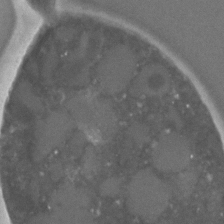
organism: C. elegans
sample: C. elegans embryo